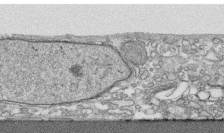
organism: Human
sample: CRL-1474